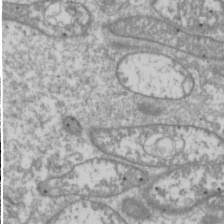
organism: Drosophila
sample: Cell division; meiosis; drosophila spermatocytes